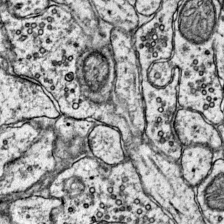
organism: Mouse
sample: Primary visual cortex